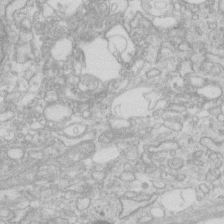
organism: Human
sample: Fibroblast cells